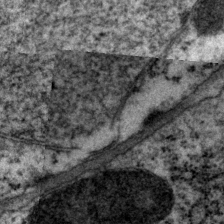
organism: P. pacificus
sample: Pharynx